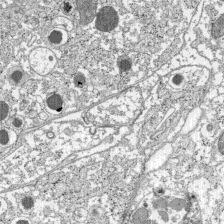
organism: C57BL Mouse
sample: Pancreatic islet